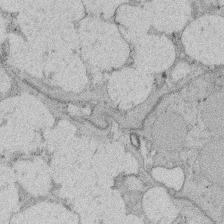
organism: Rat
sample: Salivary granule